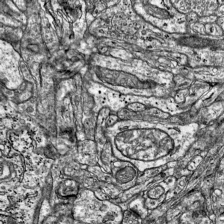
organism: Mouse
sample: Visual Cortex